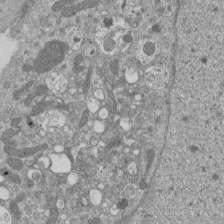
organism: Mouse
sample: ED-1 cell nuclei; centrioles